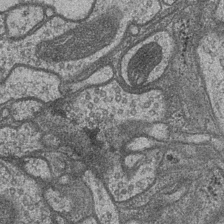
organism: Drosophila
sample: Optic medulla